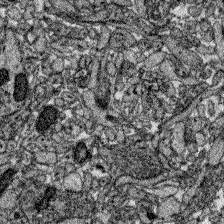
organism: Zebrafish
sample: Larval olfactory bulb